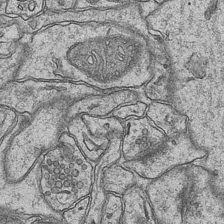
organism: Mouse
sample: CA1 Hippocampus